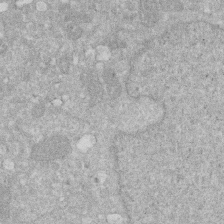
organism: Human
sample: HIV infected U937 cells